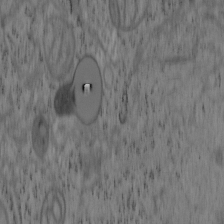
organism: Human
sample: HeLa cells